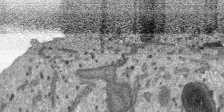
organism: Human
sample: Lung epithelial cells infected with SARS-CoV-2